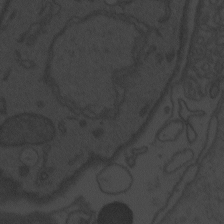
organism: Zebrafish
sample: Macrophage infected with Toxoplasma gondii